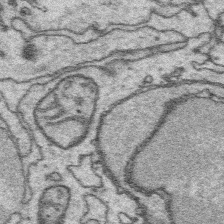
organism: Platynereis dumerilii